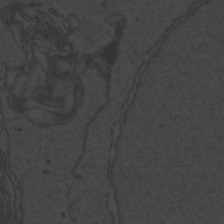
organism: Zebrafish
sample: Macrophage infected with Toxoplasma gondii